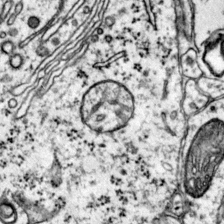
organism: Mouse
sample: Primary visual cortex